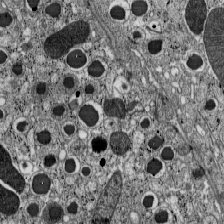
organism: C57BL Mouse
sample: Pancreatic islet